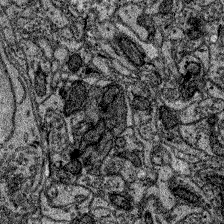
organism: Zebrafish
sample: Larval olfactory bulb